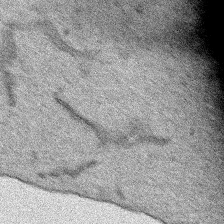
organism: Human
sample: Mitochondria in HCT116 cells